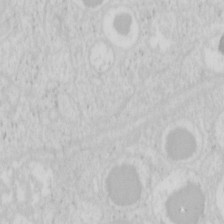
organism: Mouse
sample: Pancreas